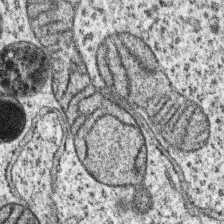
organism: Human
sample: HeLa cells